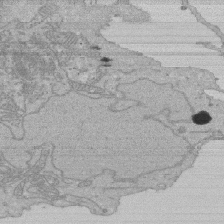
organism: Human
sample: Activated Jurkat CD4+ T cells